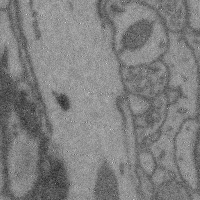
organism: Mouse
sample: Cerebral cortex